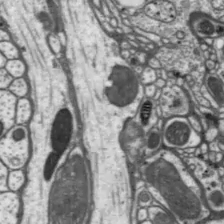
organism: Drosophila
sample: Protocerebral bridge